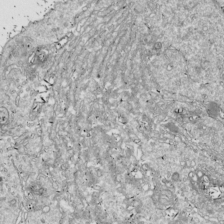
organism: Drosophila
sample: Cell division; meiosis; drosophila spermatocytes